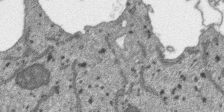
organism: Human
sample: Lung epithelial cells infected with SARS-CoV-2